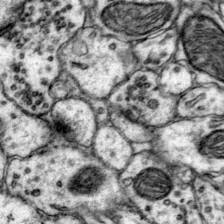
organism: Mouse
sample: Primary visual cortex